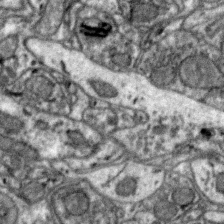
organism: Zebra finch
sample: Brain